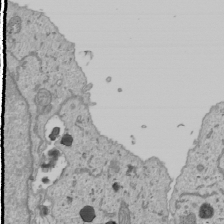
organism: Human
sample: Mitochondria in U2OS cells